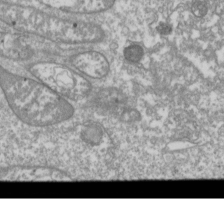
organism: Drosophila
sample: Cell division; meiosis; drosophila spermatocytes